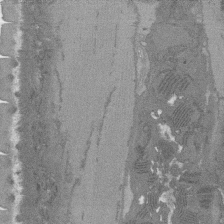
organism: C. elegans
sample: AFD neurons C. elegans